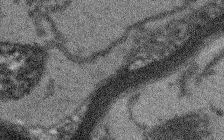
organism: Arabidopsis thaliana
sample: Root tip